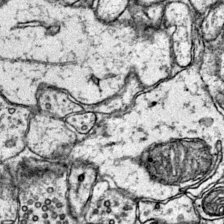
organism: Mouse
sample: Primary visual cortex